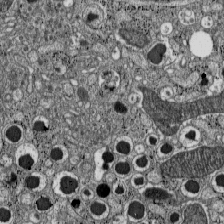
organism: C57BL Mouse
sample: Pancreatic islet